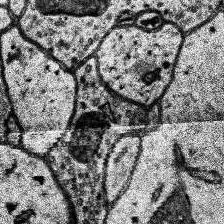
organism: Human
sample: Temporal Lobe